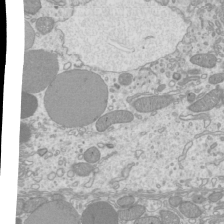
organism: Mouse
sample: Cilia; mouse epididymis